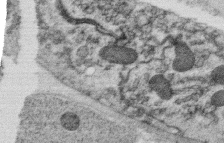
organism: C. elegans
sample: C. elegans oocyte; sperm cells